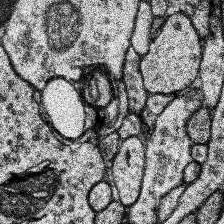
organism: Human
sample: Temporal Lobe